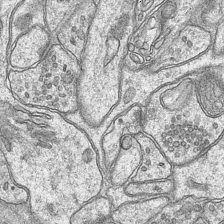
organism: Mouse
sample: CA1 Hippocampus